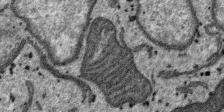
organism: Human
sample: Lung epithelial cells, uninfected (mock) control